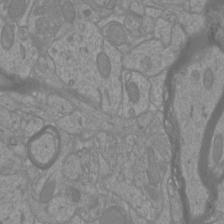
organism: Mouse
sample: Cortical neurons